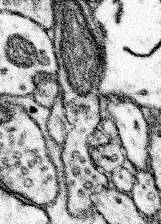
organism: Mouse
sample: Somatosensory cortex neuropil